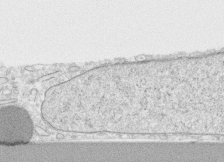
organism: Human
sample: CRL-1474